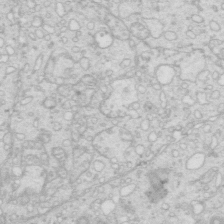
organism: Mouse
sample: Multiciliated cells